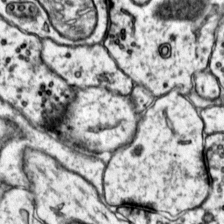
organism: Mouse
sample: Primary visual cortex